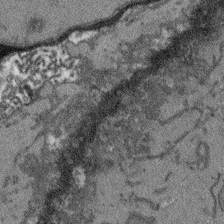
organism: Arabidopsis thaliana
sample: Root tip